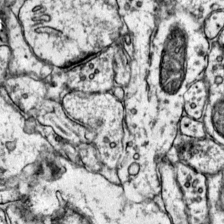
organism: Mouse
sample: Primary visual cortex